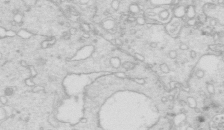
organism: Mouse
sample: Multiciliated cells